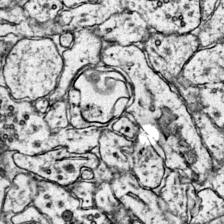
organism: Mouse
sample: Primary visual cortex